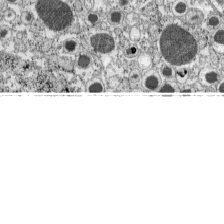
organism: C57BL Mouse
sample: Pancreatic islet